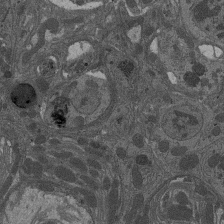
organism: Drosophila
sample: Antenna